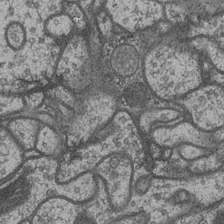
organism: Drosophila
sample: Optic medulla